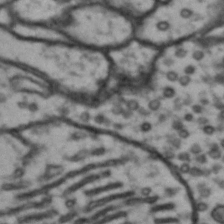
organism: Drosophila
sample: Brain